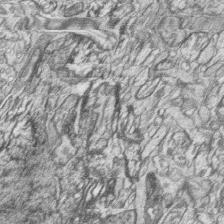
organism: Zebrafish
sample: synaptic ribbons in rod cells and cone cells